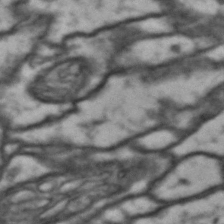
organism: Drosophila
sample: Brain